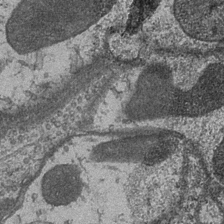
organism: Drosophila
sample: Optic medulla